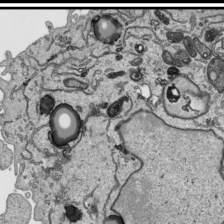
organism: Human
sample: Mitochondria in HCT116 cells